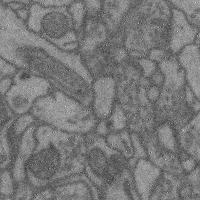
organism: Mouse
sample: Cerebral cortex